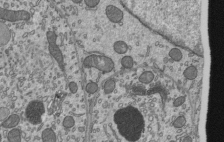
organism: Mouse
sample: Mouse epididymis efferent ductule cilia